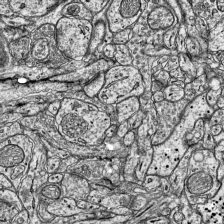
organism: Mouse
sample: Visual Cortex